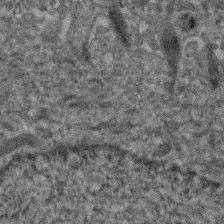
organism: Human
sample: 1205lu cells